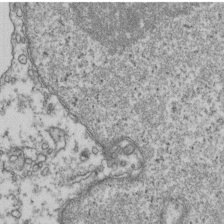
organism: Human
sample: Activated Jurkat CD4+ T cells